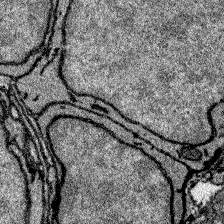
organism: Zebrafish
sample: Larval olfactory bulb